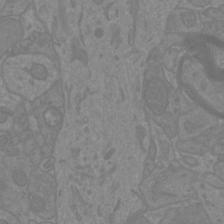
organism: Mouse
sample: Cortical neurons